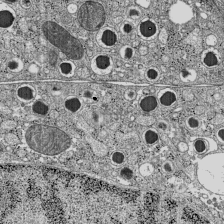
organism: C57BL Mouse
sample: Pancreatic islet